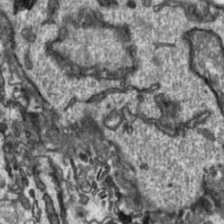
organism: Toxoplasma gondii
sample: Parasites in a vacuole inside a host cell